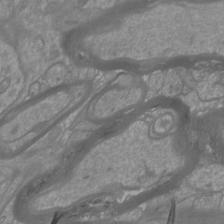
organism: Mouse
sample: Cortical neurons